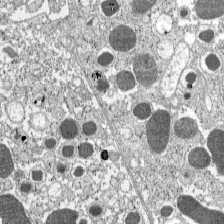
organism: C57BL Mouse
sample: Pancreatic islet